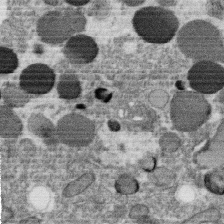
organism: C. elegans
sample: C. elegans oocyte; sperm cells